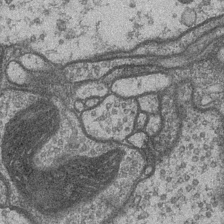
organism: Drosophila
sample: Optic medulla